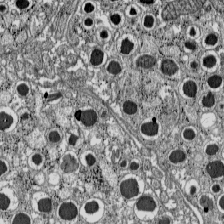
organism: C57BL Mouse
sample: Pancreatic islet